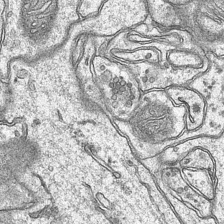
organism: Mouse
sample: CA1 Hippocampus